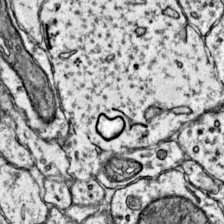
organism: Mouse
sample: Primary visual cortex